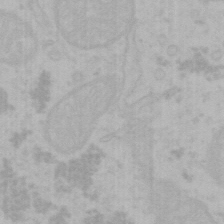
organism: Mouse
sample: Choroid plexus